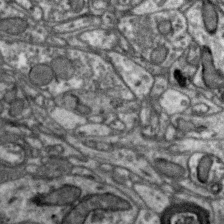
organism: Zebra finch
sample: Brain